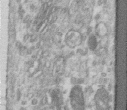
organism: Human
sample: Centriole in RPE cells